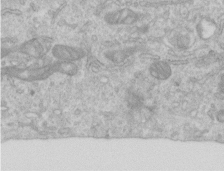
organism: Human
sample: Centriole in RPE cells